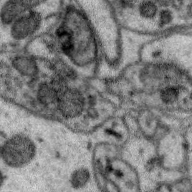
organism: Zebra finch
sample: Brain